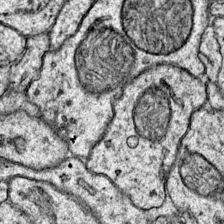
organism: Mouse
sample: Primary visual cortex